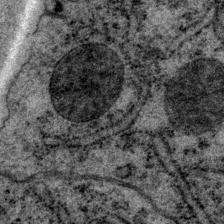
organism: P. pacificus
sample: Pharynx